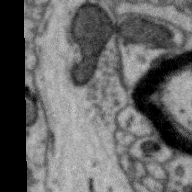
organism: Zebra finch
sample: Brain